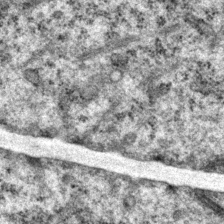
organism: P. pacificus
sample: Pharynx